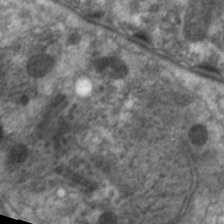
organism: C. elegans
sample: Pharynx